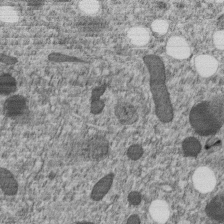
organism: C. elegans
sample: C. elegans embryo early stage